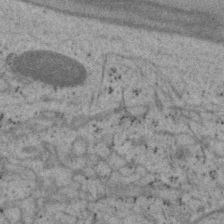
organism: Human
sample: HeLa cells